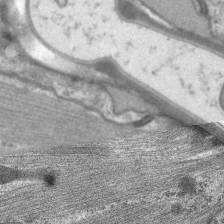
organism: C. elegans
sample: Pharynx